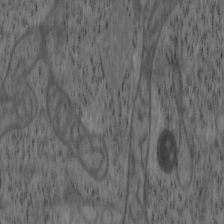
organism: Human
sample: HeLa cells